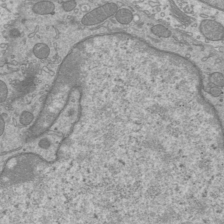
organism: Mouse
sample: Cilia; mouse epididymis